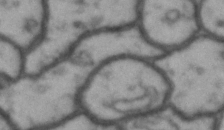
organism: Drosophila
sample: Brain